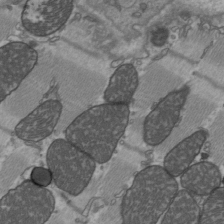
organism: C57BL Mouse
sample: Heart